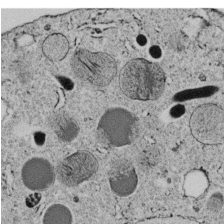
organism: C. elegans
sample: C. elegans embryo early stage